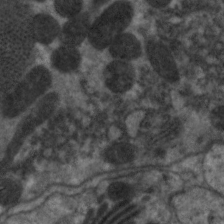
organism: C. elegans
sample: Pharynx